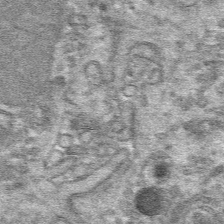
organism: Mouse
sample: Mouse hepatocytes